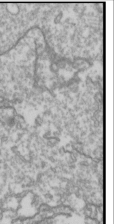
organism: Drosophila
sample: Cell division; meiosis; drosophila spermatocytes